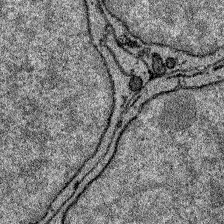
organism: Zebrafish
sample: Larval olfactory bulb